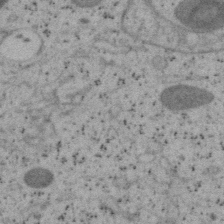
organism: Human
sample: HeLa cells